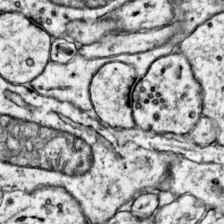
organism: Mouse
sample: Primary visual cortex